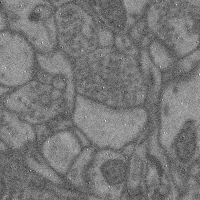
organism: Mouse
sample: Cerebral cortex